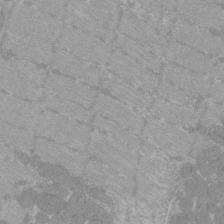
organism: C57BL Mouse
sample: Tibialis anterior muscle cell